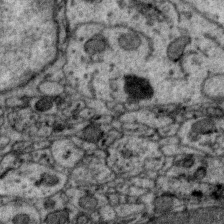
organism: Zebra finch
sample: Brain